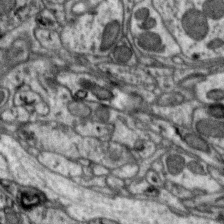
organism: Zebra finch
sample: Brain